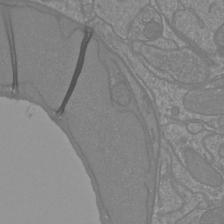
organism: Mouse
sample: Cortical neurons